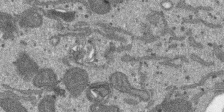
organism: Human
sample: Lung epithelial cells infected with SARS-CoV-2